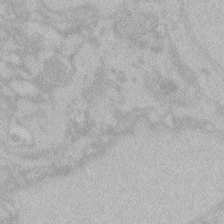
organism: Zebrafish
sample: Macrophage infected with Toxoplasma gondii